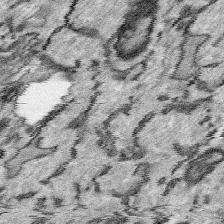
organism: Human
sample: HeLa cells